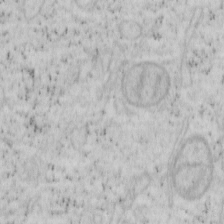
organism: Human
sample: HeLa cells